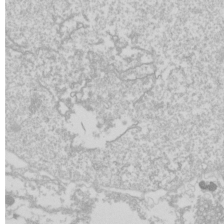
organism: Drosophila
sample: Cell division; meiosis; drosophila spermatocytes